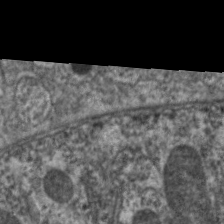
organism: C. elegans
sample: Pharynx